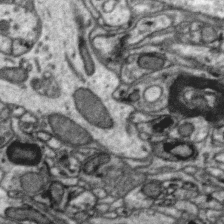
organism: Zebra finch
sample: Brain